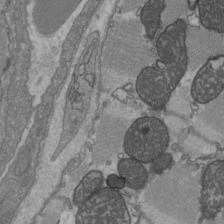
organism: C57BL Mouse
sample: Heart